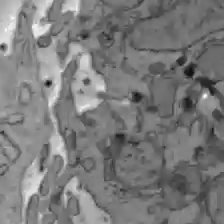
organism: C57BL Mouse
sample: Liver